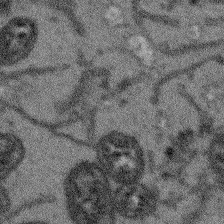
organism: Arabidopsis thaliana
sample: Root tip